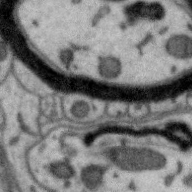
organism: Zebra finch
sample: Brain